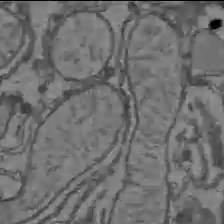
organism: C57BL Mouse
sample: Liver